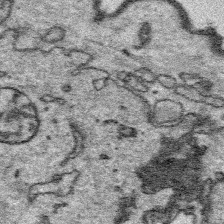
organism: Platynereis dumerilii